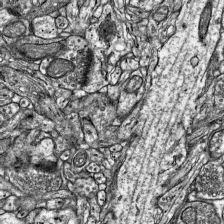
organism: Mouse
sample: Visual Cortex